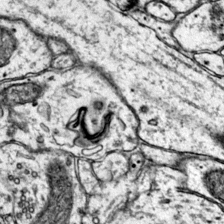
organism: Mouse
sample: Primary visual cortex